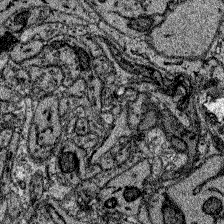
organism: Zebrafish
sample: Larval olfactory bulb